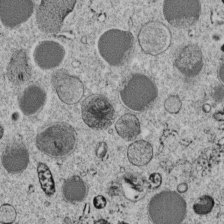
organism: C. elegans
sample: C. elegans embryo early stage